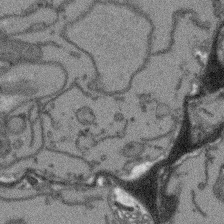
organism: Arabidopsis thaliana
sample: Root tip